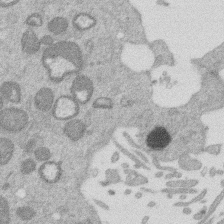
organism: Mouse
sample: Dividing mouse embryo 1 cell stage